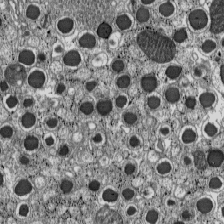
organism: C57BL Mouse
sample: Pancreatic islet